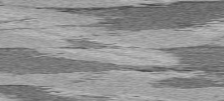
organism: C57BL Mouse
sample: Heart